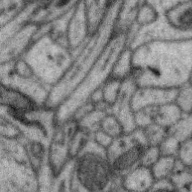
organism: Zebra finch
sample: Brain